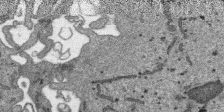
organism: Human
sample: Lung epithelial cells infected with SARS-CoV-2